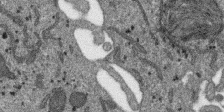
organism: Human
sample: Lung epithelial cells infected with SARS-CoV-2